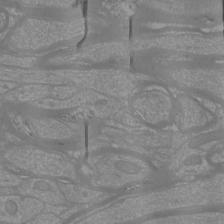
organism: Mouse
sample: Cortical neurons